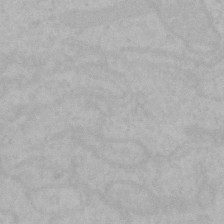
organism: Mouse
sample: Choroid plexus